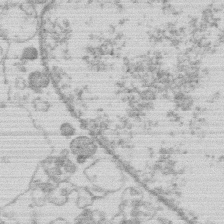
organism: Human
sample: Macrophage cells